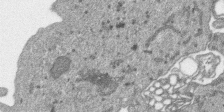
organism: Human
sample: Lung epithelial cells infected with SARS-CoV-2